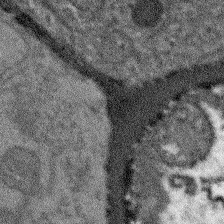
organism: Arabidopsis thaliana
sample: Root tip